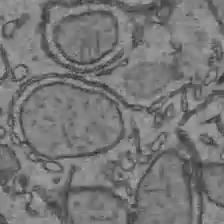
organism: C57BL Mouse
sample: Liver